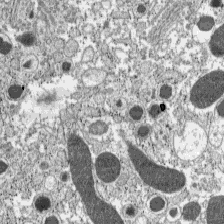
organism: C57BL Mouse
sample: Pancreatic islet